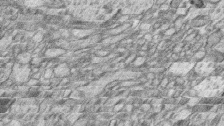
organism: Zebrafish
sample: synaptic ribbons in rod cells and cone cells